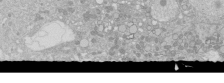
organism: Human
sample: Caco-2 cells